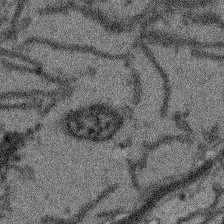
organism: Arabidopsis thaliana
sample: Root tip